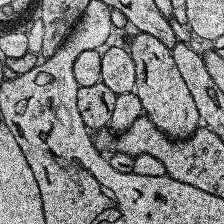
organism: Human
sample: Temporal Lobe